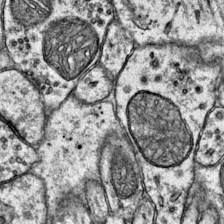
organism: Mouse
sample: Primary visual cortex